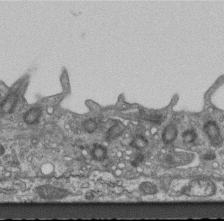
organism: Mouse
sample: Centriole in ependymal cells